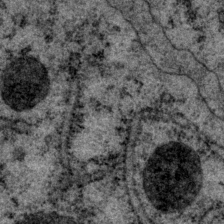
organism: P. pacificus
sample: Pharynx